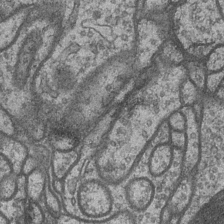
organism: Drosophila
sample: Optic medulla